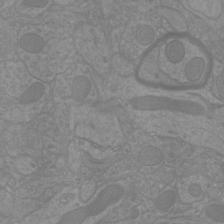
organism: Mouse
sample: Cortical neurons